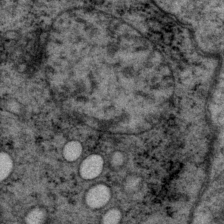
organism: P. pacificus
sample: Pharynx